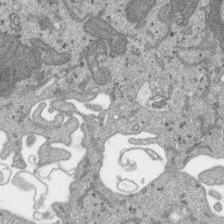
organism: Human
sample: Lung epithelial cells infected with SARS-CoV-2